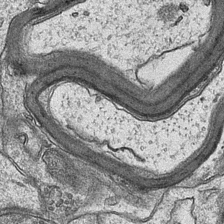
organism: Mouse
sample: CA1 Hippocampus